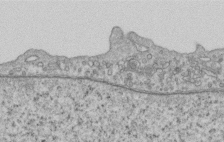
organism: Human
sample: Centriole in RPE cells